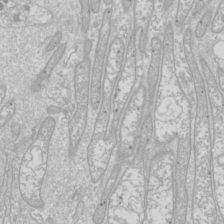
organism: Drosophila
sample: Cell division; meiosis; drosophila spermatocytes